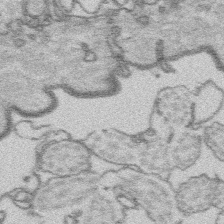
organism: Platynereis dumerilii